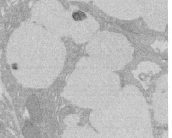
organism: Rat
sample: Salivary granule